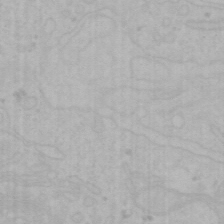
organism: Mouse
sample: Choroid plexus